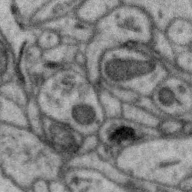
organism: Zebra finch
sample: Brain